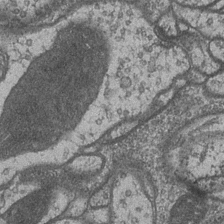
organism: Drosophila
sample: Optic medulla